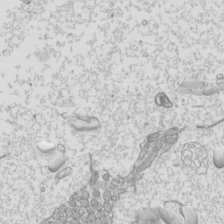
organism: Mouse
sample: Cilia; mouse epididymis